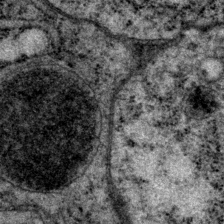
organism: P. pacificus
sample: Pharynx